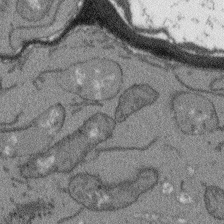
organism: Arabidopsis thaliana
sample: Root tip